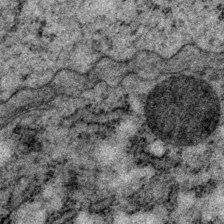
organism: P. pacificus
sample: Pharynx